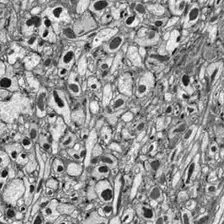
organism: Drosophila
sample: Optic lobe